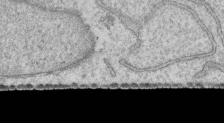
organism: Human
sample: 1205lu cells